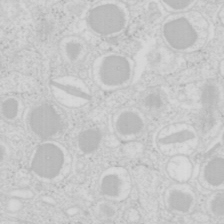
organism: Mouse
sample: Pancreas